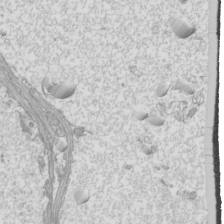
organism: Mouse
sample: Cilia; mouse epididymis